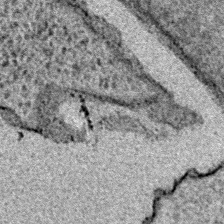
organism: E. coli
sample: E. Coli Bacteria